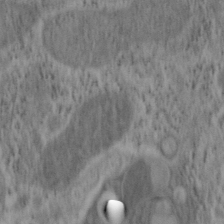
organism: Mouse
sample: OT-I killer T cells with ID8 ovarian cancer cells